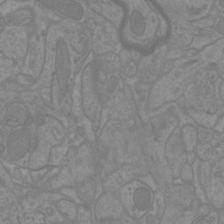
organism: Mouse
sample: Cortical neurons